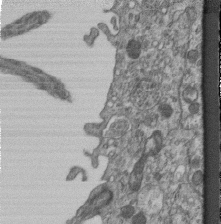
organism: Mouse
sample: Centriole in ependymal cells